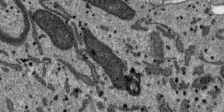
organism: Human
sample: Lung epithelial cells, uninfected (mock) control